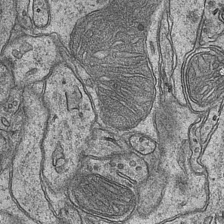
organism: Mouse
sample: CA1 Hippocampus